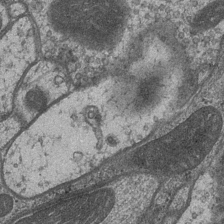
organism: Drosophila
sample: Optic medulla